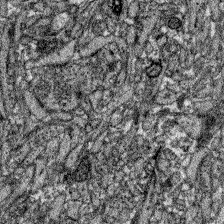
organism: Zebrafish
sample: Larval olfactory bulb